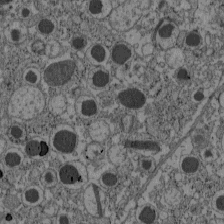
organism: C57BL Mouse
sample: Pancreatic islet